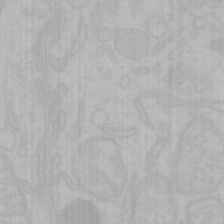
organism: Mouse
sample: Choroid plexus